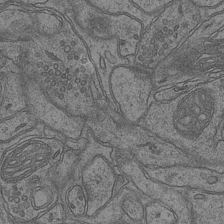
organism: Mouse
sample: CA1 Hippocampus